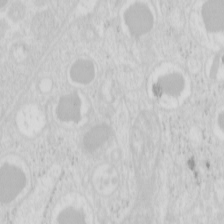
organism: Mouse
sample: Pancreas